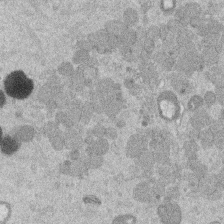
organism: Mouse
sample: Dividing mouse embryo 1 cell stage